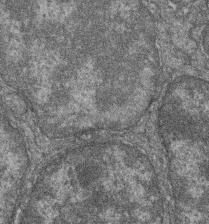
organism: Zebrafish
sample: Cilia; retinal pigment epithelium